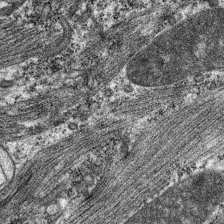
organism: C. elegans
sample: Pharynx